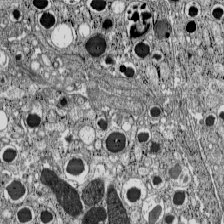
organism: C57BL Mouse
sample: Pancreatic islet